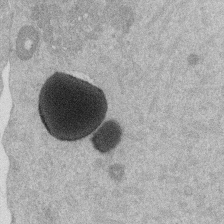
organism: Mouse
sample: Dividing mouse embryo 1 cell stage